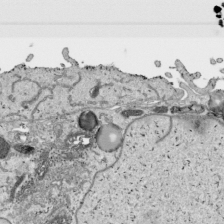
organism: Human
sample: Mitochondria in HCT116 cells